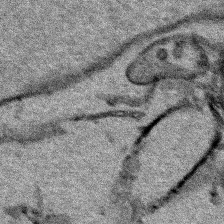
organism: Human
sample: Mitochondria in HCT116 cells